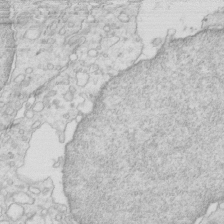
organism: Mouse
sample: Multiciliated cells